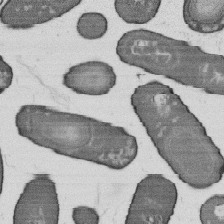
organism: B. subtilis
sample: Bacterial spore